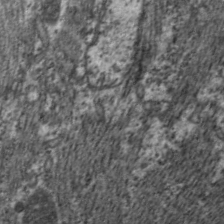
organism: C. elegans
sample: Pharynx